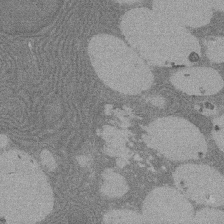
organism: Rat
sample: Salivary granule